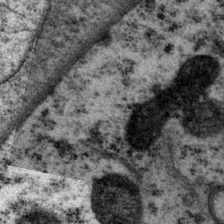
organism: P. pacificus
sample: Pharynx